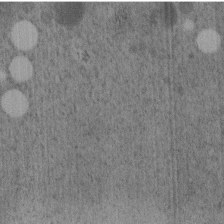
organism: C. elegans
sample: C. elegans embryo early stage